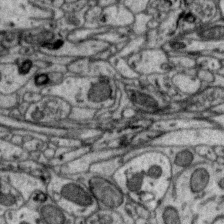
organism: Zebra finch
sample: Brain